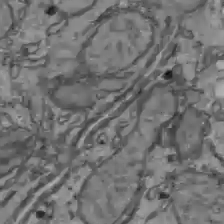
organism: C57BL Mouse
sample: Liver